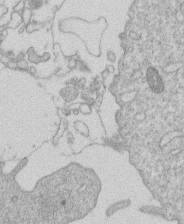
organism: Human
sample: Macrophage cells